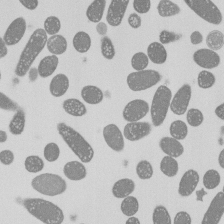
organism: E. coli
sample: Bacterial nucleoid